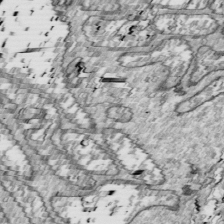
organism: Drosophila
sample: Cell division; meiosis; drosophila spermatocytes